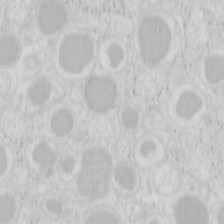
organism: Mouse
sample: Pancreas